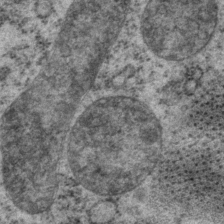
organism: P. pacificus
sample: Pharynx